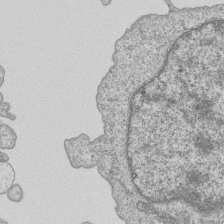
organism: Human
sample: MDA-MB-231 cells